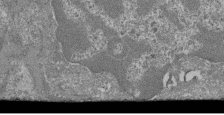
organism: Mouse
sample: Glomerulus